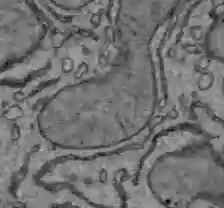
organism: C57BL Mouse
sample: Liver